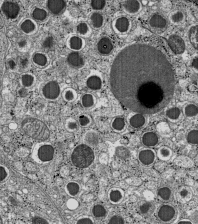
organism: C57BL Mouse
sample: Pancreatic islet